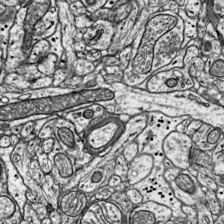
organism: Mouse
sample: Visual Cortex